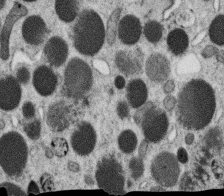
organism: C. elegans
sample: C. elegans oocyte; sperm cells